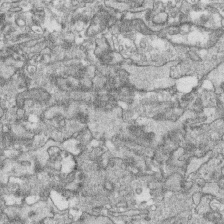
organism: Human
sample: CRL-1474